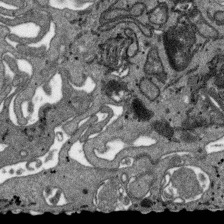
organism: Human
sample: Lung epithelial cells, uninfected (mock) control